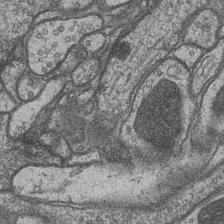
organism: Drosophila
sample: Optic medulla